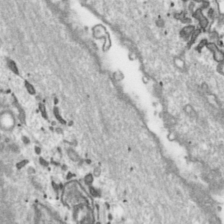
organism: Toxoplasma gondii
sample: Parasites in a vacuole inside a host cell